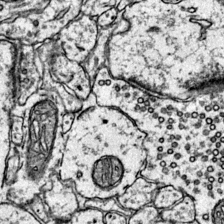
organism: Mouse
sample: Primary visual cortex